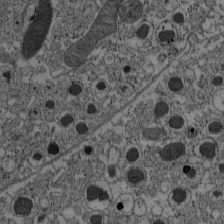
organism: C57BL Mouse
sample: Pancreatic islet